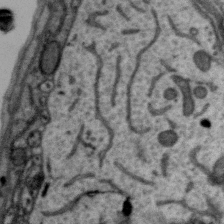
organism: Zebra finch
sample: Brain